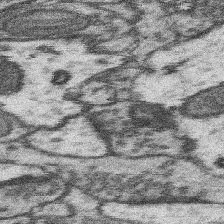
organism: Mouse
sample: Somatosensory cortex neuropil